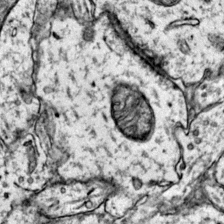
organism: Mouse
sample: Primary visual cortex